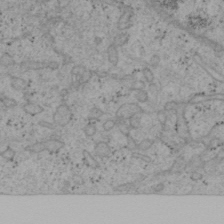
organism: Human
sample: HeLa cells